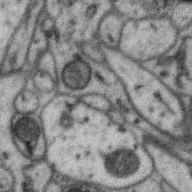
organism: Zebra finch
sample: Brain